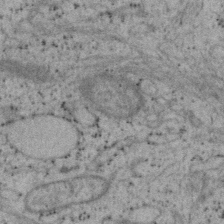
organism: Human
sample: HeLa cells